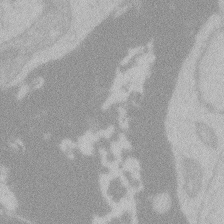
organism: Zebrafish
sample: Macrophage infected with Toxoplasma gondii